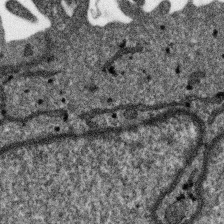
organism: Human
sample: Lung epithelial cells infected with SARS-CoV-2